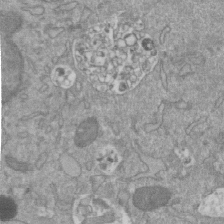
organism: Mouse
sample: ED-1 cell nuclei; centrioles